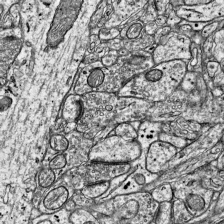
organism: Mouse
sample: Visual Cortex